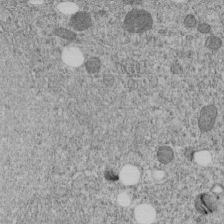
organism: C. elegans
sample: C. elegans embryo early stage